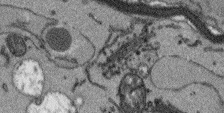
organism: Arabidopsis thaliana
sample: Root tip